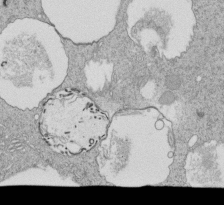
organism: Tetrahymena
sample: Cilia in tetrahymena